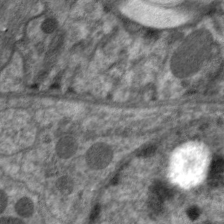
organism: C. elegans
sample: Pharynx